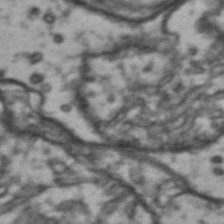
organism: Drosophila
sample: Brain